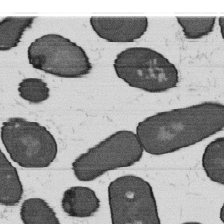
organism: B. subtilis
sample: Bacterial spore